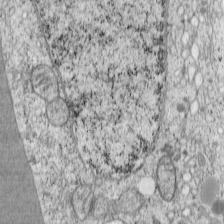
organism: African green monkey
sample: COS-7 cells